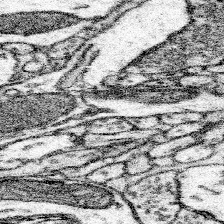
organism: Mouse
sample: Somatosensory cortex neuropil